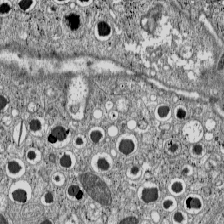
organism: C57BL Mouse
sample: Pancreatic islet